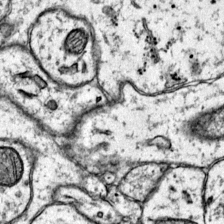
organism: Mouse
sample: Primary visual cortex